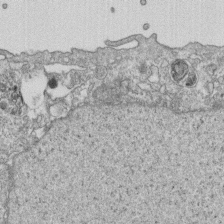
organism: Human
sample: HeLa cell HIV synapse